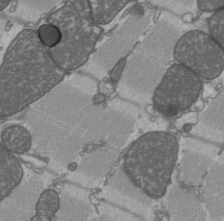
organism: C57BL Mouse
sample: Heart